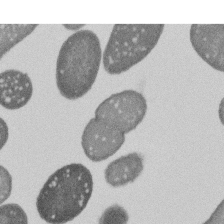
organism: E. coli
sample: Bacterial nucleoid